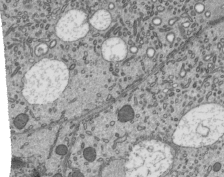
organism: Mouse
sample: Mouse epididymis efferent ductule cilia